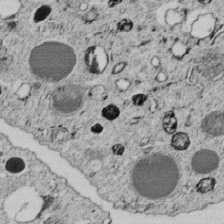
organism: C. elegans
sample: C. elegans embryo early stage